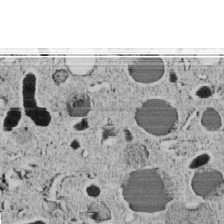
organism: C. elegans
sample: C. elegans embryo early stage